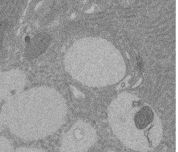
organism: Rat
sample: Salivary granule